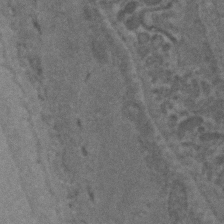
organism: C. elegans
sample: C. elegans embryo